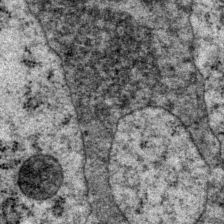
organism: P. pacificus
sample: Pharynx